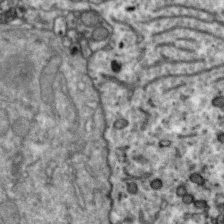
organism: Zebra finch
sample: Brain